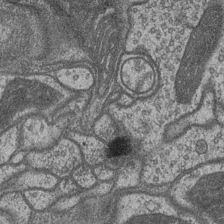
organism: Drosophila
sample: Optic medulla